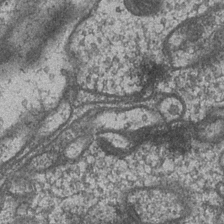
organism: Drosophila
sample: Optic medulla